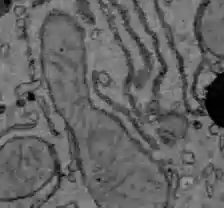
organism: C57BL Mouse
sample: Liver